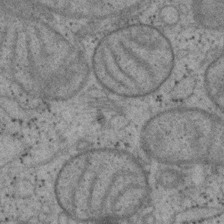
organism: Human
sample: HeLa cells